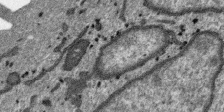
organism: Human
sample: Lung epithelial cells, uninfected (mock) control